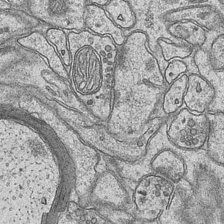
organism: Mouse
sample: CA1 Hippocampus